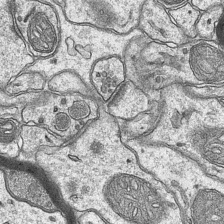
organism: Mouse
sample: CA1 Hippocampus